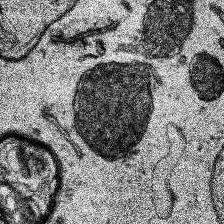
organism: Human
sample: Temporal Lobe